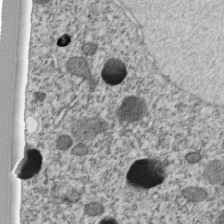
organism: C. elegans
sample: C. elegans embryo early stage